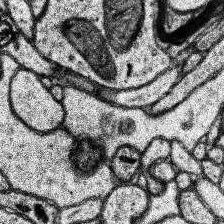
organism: Human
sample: Temporal Lobe